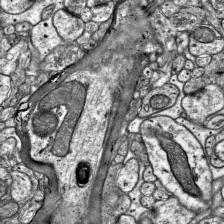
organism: Mouse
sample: Visual Cortex